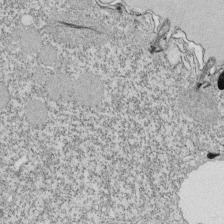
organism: Tetrahymena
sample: Cilia in tetrahymena